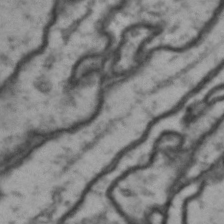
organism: Drosophila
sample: Brain